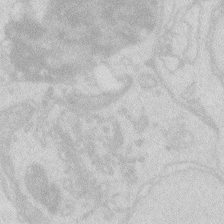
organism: Zebrafish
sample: Macrophage